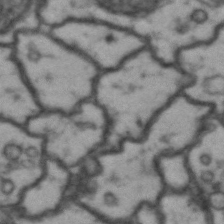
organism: Drosophila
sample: Brain